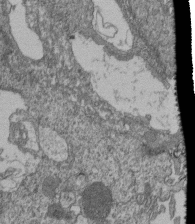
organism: Human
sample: Retinal organoid Rod and Cone cells